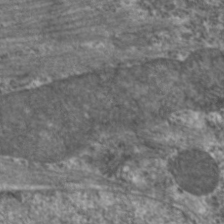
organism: C. elegans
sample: Pharynx